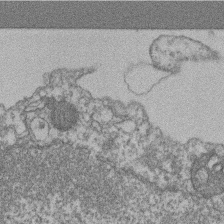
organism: Mouse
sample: T cell stromal cell synapse